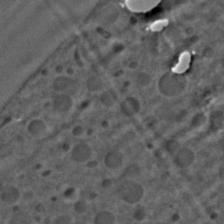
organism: C. elegans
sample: C. elegans embryo